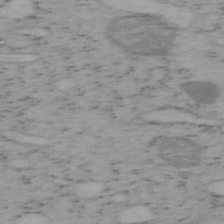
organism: Mouse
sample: OT-I killer T cells with ID8 ovarian cancer cells